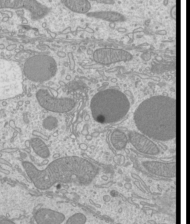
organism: Mouse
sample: Cilia; mouse epididymis